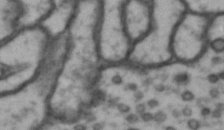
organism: Drosophila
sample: Brain